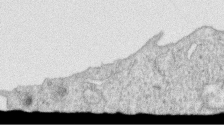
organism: Human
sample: HeLa cell HIV synapse